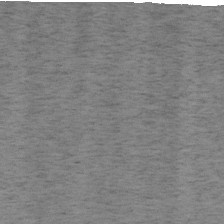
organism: Mouse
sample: OT-I killer T cells with ID8 ovarian cancer cells